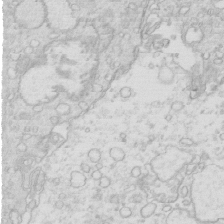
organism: Mouse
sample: Multiciliated cells